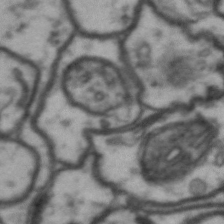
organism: Drosophila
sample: Brain